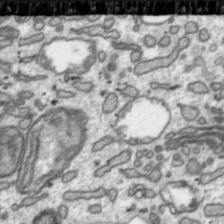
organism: Toxoplasma gondii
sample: Parasites in a vacuole inside a host cell